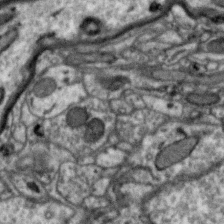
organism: Zebra finch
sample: Brain